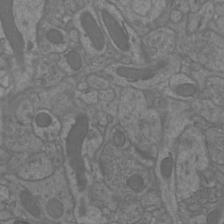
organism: Mouse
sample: Cortical neurons